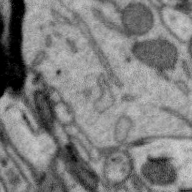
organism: Zebra finch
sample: Brain